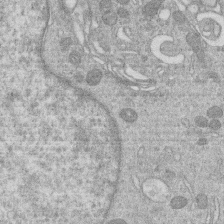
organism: Human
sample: Macrophage cells